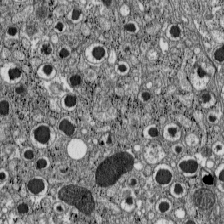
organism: C57BL Mouse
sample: Pancreatic islet